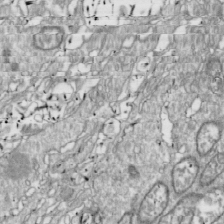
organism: Drosophila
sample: Cell division; meiosis; drosophila spermatocytes